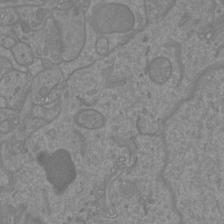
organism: Mouse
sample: Cortical neurons